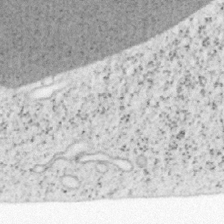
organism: Mouse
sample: OT-I killer T cells with ID8 ovarian cancer cells